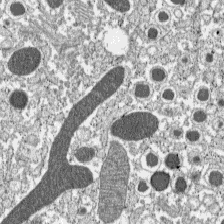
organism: C57BL Mouse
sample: Pancreatic islet